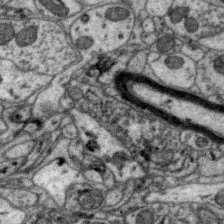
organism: Zebra finch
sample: Brain